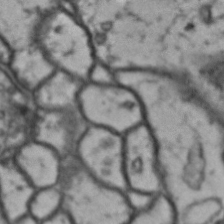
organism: Drosophila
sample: Brain